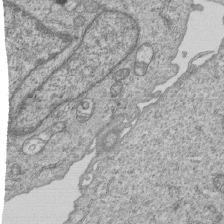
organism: Human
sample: MDA-MB-231 cells